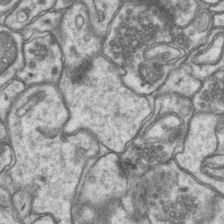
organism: Mouse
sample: CA1 Hippocampus